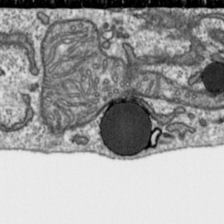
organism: Toxoplasma gondii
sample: Parasites in a vacuole inside a host cell